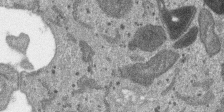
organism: Human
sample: Lung epithelial cells infected with SARS-CoV-2